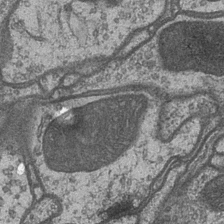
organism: Drosophila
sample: Optic medulla